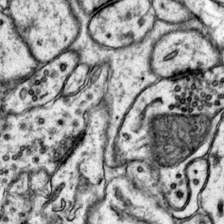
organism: Mouse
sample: Primary visual cortex